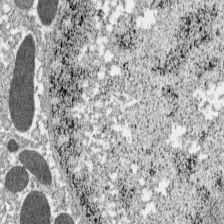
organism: C57BL Mouse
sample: Pancreatic islet